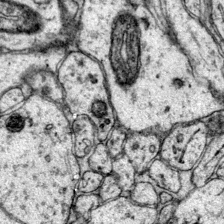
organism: Mouse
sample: Primary visual cortex